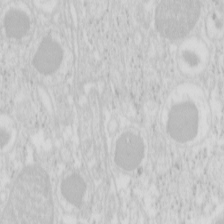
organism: Mouse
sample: Pancreas